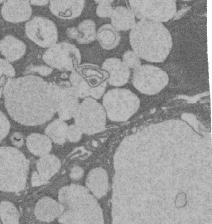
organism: Rat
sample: Salivary granule